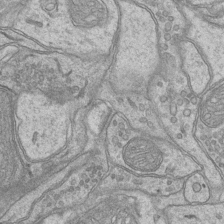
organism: Mouse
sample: CA1 Hippocampus